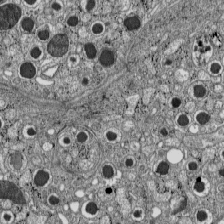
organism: C57BL Mouse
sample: Pancreatic islet